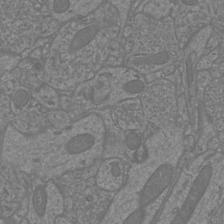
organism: Mouse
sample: Cortical neurons